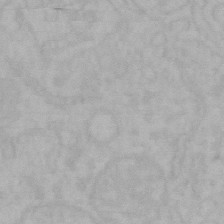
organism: Mouse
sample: Choroid plexus